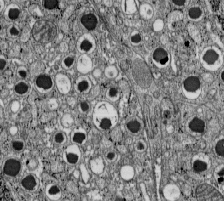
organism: C57BL Mouse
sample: Pancreatic islet